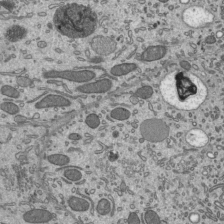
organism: Mouse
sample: Mouse epididymis efferent ductule cilia